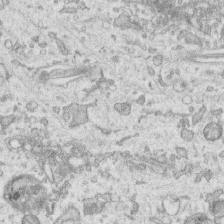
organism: Human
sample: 1205lu cells